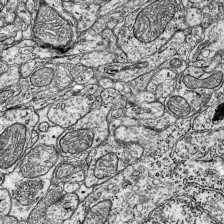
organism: Mouse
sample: Visual Cortex